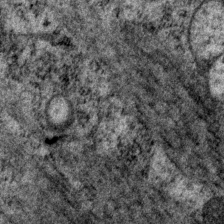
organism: P. pacificus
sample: Pharynx